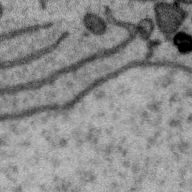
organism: Zebra finch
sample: Brain